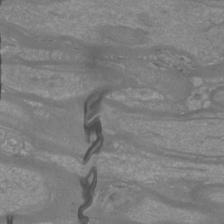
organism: Mouse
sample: Cortical neurons